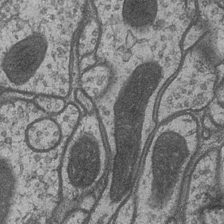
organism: Drosophila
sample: Optic medulla